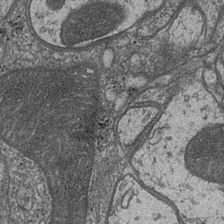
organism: Drosophila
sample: Optic medulla